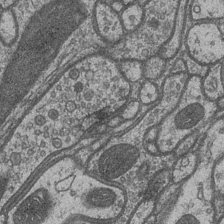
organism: Drosophila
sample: Optic medulla